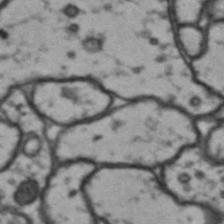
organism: Drosophila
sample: Brain